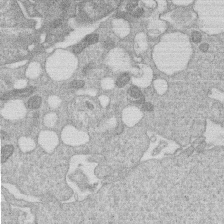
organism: Human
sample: Macrophage cells